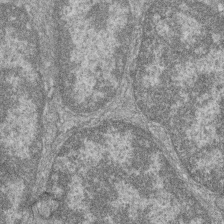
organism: Zebrafish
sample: Cilia; retinal pigment epithelium